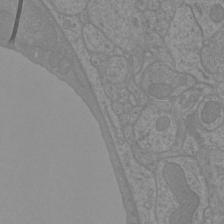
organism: Mouse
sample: Cortical neurons